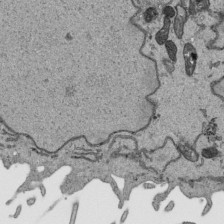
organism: Human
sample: Mitochondria in HCT116 cells